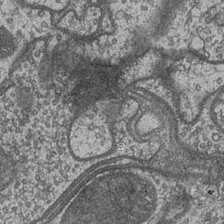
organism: Drosophila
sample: Optic medulla